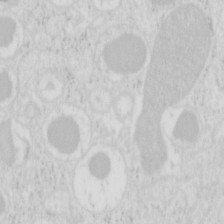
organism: Mouse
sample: Pancreas